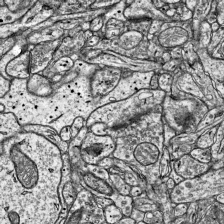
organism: Mouse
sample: Visual Cortex